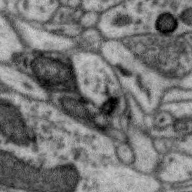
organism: Zebra finch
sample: Brain